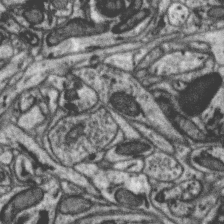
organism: Zebra finch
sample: Brain